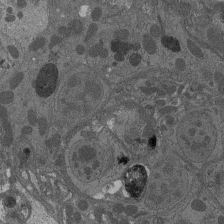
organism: Drosophila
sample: Antenna